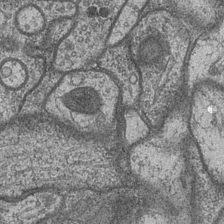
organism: Drosophila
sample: Optic medulla